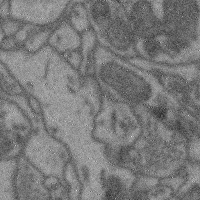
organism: Mouse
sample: Cerebral cortex